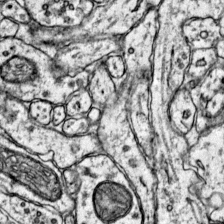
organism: Mouse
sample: Primary visual cortex